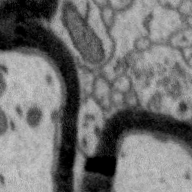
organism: Zebra finch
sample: Brain